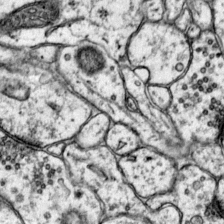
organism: Mouse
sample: Primary visual cortex